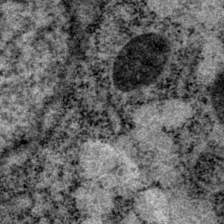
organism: P. pacificus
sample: Pharynx